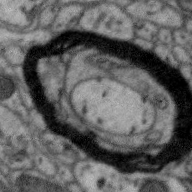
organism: Zebra finch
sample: Brain